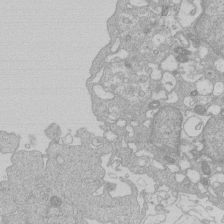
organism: Human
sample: Macrophage cells